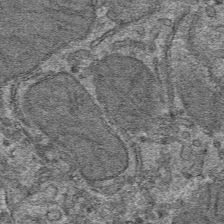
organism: Mouse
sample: Mouse hepatocytes